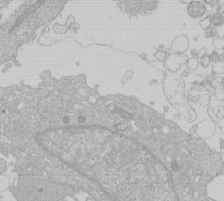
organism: Human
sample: Macrophage cells